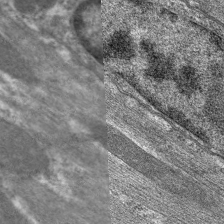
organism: C. elegans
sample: Pharynx